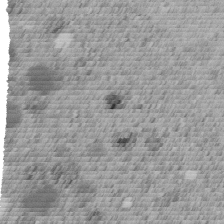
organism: C. elegans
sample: C. elegans embryo early stage